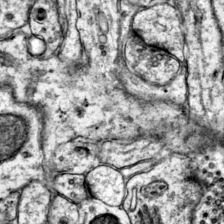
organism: Mouse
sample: Primary visual cortex